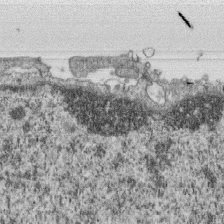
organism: African green monkey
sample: Vero E6 cells infected with SARS-CoV-2